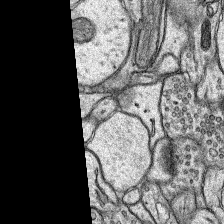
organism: Rat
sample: Hippocampus